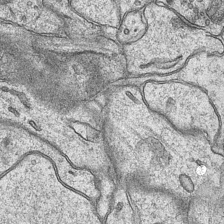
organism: Mouse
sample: CA1 Hippocampus